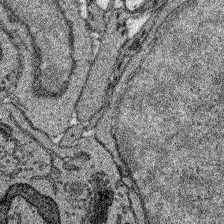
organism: Zebrafish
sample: Larval olfactory bulb